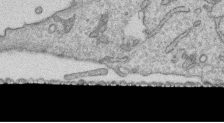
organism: Human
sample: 1205lu cells